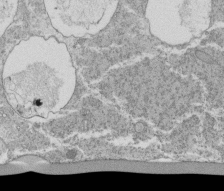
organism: Tetrahymena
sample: Cilia in tetrahymena